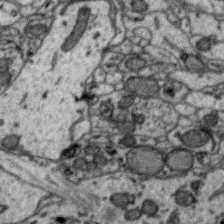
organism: Zebra finch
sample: Brain